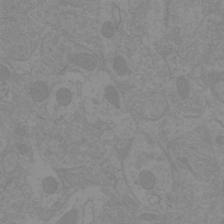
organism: Mouse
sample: Cortical neurons